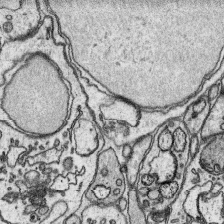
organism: Platynereis dumerilii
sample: Parapodia